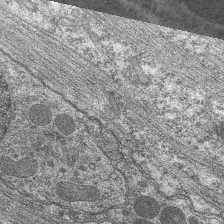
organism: C. elegans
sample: Pharynx